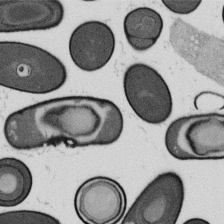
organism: B. subtilis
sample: Bacterial spore